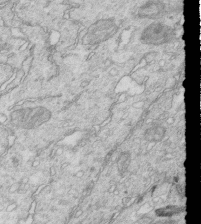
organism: Mouse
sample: Multiciliated cells